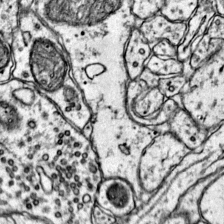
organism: Mouse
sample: Primary visual cortex